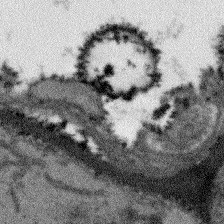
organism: Arabidopsis thaliana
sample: Root tip